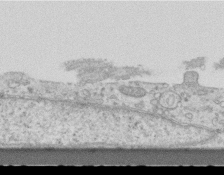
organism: Mouse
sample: Centriole in ependymal cells